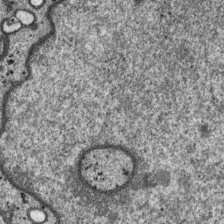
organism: Human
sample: Lung epithelial cells infected with SARS-CoV-2